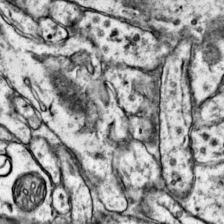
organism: Mouse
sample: Primary visual cortex